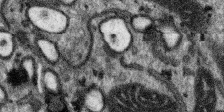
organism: Human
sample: Lung epithelial cells infected with SARS-CoV-2